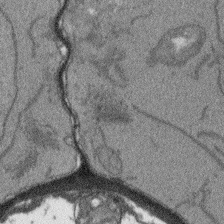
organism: Arabidopsis thaliana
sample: Root tip